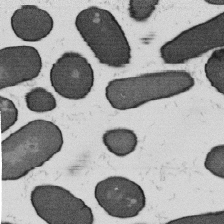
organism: B. subtilis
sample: Bacterial spore